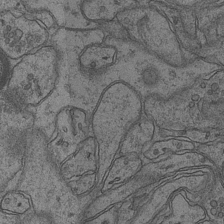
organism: Mouse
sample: CA1 Hippocampus